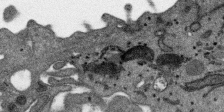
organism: Human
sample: Lung epithelial cells, uninfected (mock) control